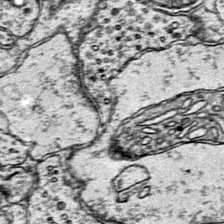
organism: Mouse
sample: Primary visual cortex